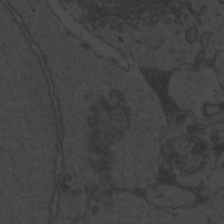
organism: Zebrafish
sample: Macrophage infected with Toxoplasma gondii